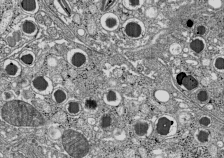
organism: C57BL Mouse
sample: Pancreatic islet